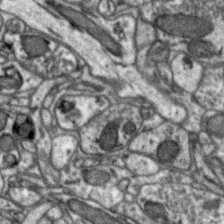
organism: Zebra finch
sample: Brain